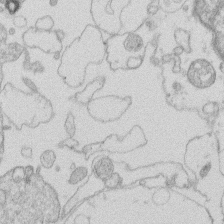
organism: Human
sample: Macrophage cells